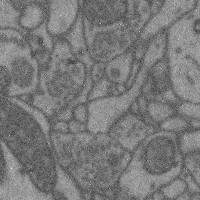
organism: Mouse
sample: Cerebral cortex